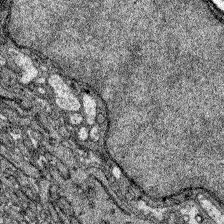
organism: Zebrafish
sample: Larval olfactory bulb